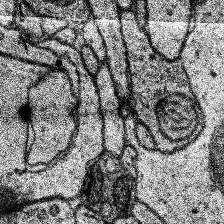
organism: Human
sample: Temporal Lobe